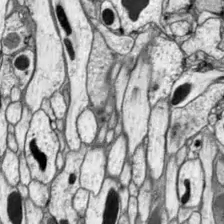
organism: Drosophila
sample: Optic lobe